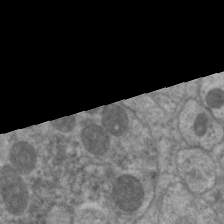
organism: C. elegans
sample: Pharynx